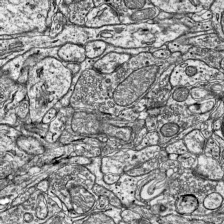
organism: Mouse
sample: Visual Cortex